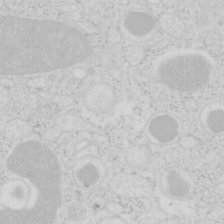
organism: Mouse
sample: Pancreas